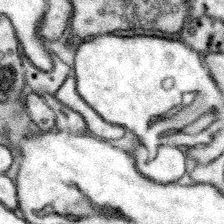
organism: Mouse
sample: Somatosensory cortex neuropil